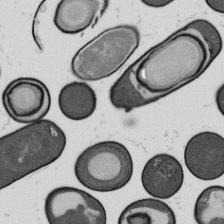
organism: B. subtilis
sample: Bacterial spore